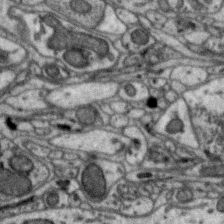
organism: Zebra finch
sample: Brain